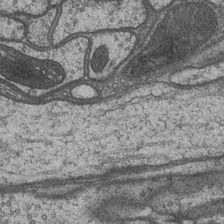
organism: Drosophila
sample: Optic medulla